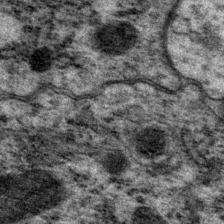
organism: P. pacificus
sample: Pharynx